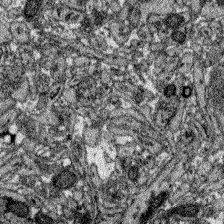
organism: Zebrafish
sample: Larval olfactory bulb